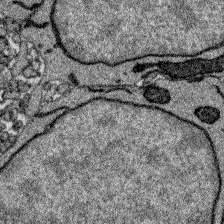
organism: Zebrafish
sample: Larval olfactory bulb